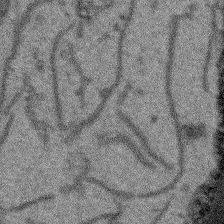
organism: Arabidopsis thaliana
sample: Root tip